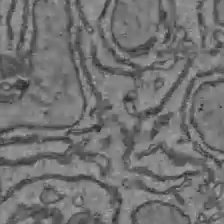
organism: C57BL Mouse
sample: Liver